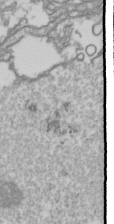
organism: Drosophila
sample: Cell division; meiosis; drosophila spermatocytes